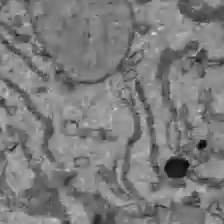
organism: C57BL Mouse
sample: Liver